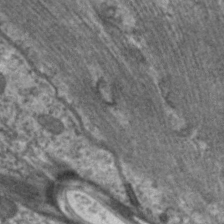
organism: C. elegans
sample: Pharynx